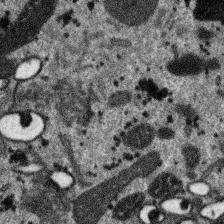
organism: Human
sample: Lung epithelial cells infected with SARS-CoV-2